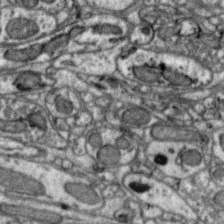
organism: Zebra finch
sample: Brain